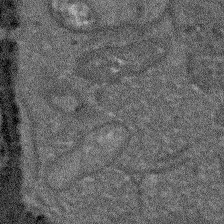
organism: Arabidopsis thaliana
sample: Root tip